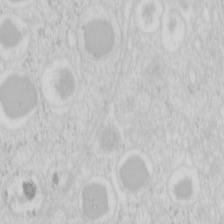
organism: Mouse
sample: Pancreas